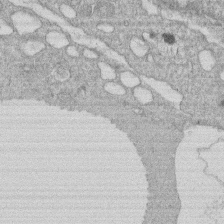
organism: Human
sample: Macrophage cells